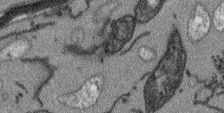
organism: Arabidopsis thaliana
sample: Root tip